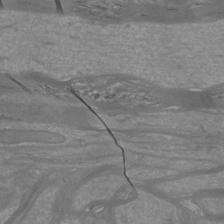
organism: Mouse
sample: Cortical neurons